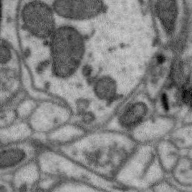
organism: Zebra finch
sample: Brain